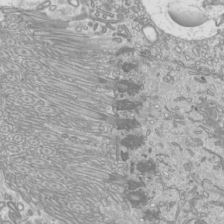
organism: Mouse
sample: Cilia; mouse epididymis